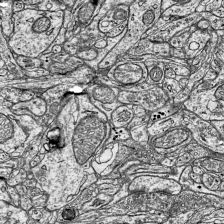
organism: Mouse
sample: Visual Cortex